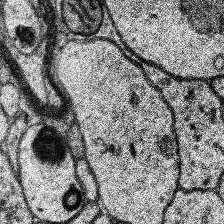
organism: Human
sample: Temporal Lobe